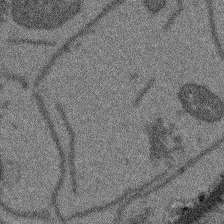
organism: Arabidopsis thaliana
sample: Root tip